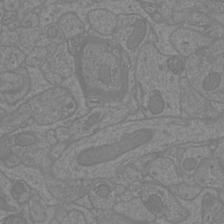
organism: Mouse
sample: Cortical neurons